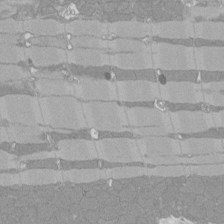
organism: Rat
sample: Left ventricle